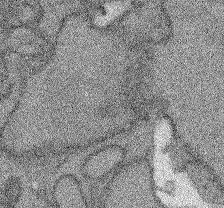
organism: Human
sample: HeLa cells